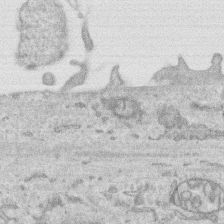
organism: Human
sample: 1205lu cells